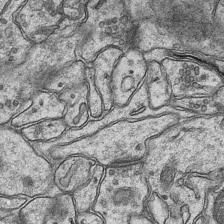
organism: Mouse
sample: CA1 Hippocampus